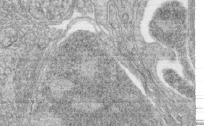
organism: Zebrafish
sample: synaptic ribbons in rod cells and cone cells